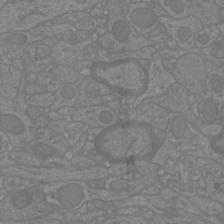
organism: Mouse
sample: Cortical neurons